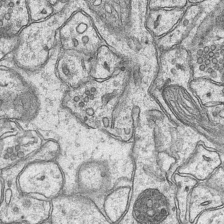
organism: Mouse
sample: CA1 Hippocampus